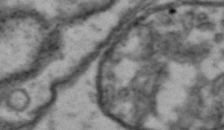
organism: Drosophila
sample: Brain